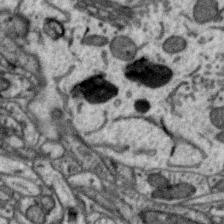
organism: Zebra finch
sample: Brain